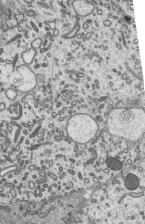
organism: Mouse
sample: Mouse epididymis efferent ductule cilia